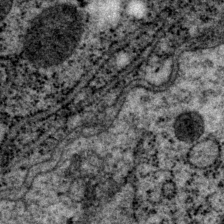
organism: P. pacificus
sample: Pharynx